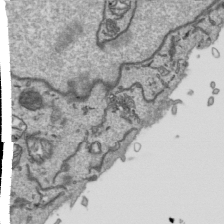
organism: Human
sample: Mitochondria in HCT116 cells